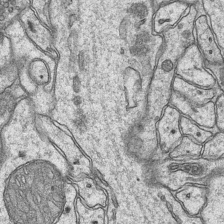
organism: Mouse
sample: CA1 Hippocampus